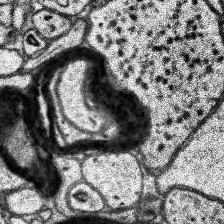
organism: Human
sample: Temporal Lobe